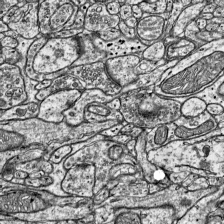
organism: Mouse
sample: Visual Cortex